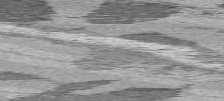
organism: C57BL Mouse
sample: Heart